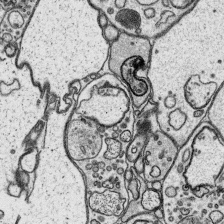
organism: Platynereis dumerilii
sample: Parapodia